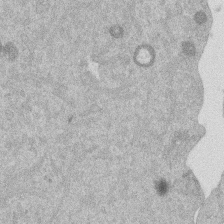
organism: Mouse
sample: Dividing mouse embryo 1 cell stage